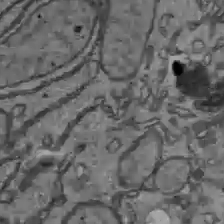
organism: C57BL Mouse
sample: Liver